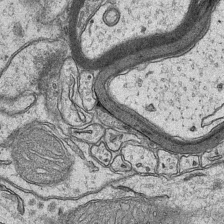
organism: Mouse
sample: CA1 Hippocampus